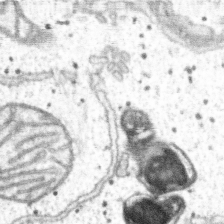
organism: Human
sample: HeLa cells